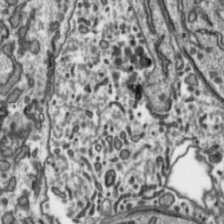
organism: Toxoplasma gondii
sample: Parasites in a vacuole inside a host cell